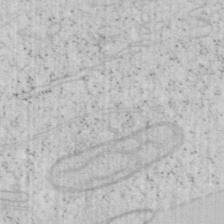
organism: Human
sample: HeLa cells